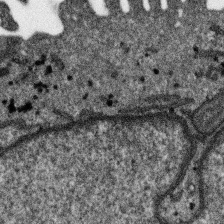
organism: Human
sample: Lung epithelial cells infected with SARS-CoV-2